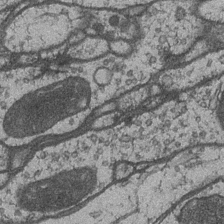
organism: Drosophila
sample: Optic medulla